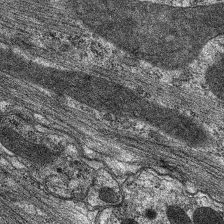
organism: C. elegans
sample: Pharynx